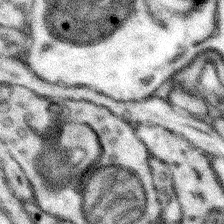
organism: Mouse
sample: Somatosensory cortex neuropil